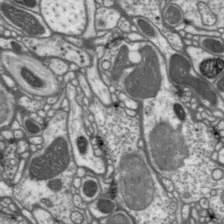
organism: Drosophila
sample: Protocerebral bridge